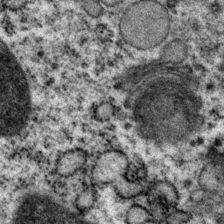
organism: P. pacificus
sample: Pharynx